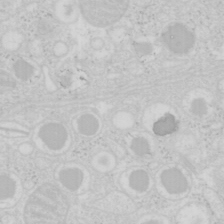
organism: Mouse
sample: Pancreas